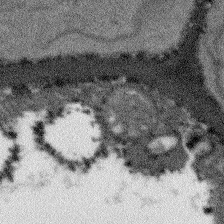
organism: Arabidopsis thaliana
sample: Root tip